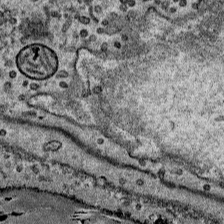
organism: Mouse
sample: Mouse Salivary gland